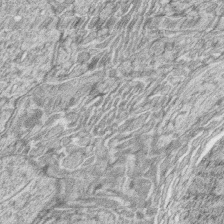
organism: Zebrafish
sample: synaptic ribbons in rod cells and cone cells